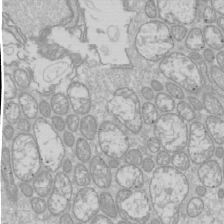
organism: Drosophila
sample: Cell division; meiosis; drosophila spermatocytes